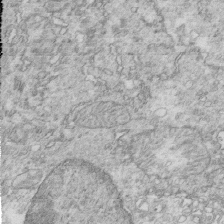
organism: Mouse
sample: Multiciliated cells